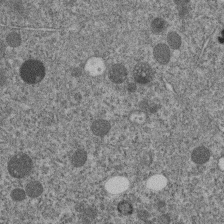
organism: C. elegans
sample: C. elegans embryo early stage